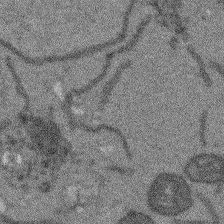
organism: Arabidopsis thaliana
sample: Root tip